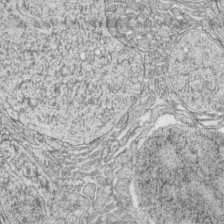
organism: Zebrafish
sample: synaptic ribbons in rod cells and cone cells